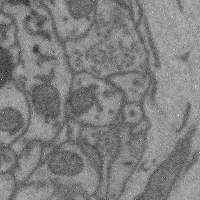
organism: Mouse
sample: Cerebral cortex